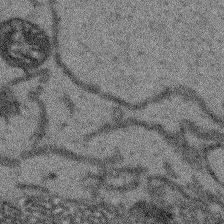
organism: Arabidopsis thaliana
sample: Root tip